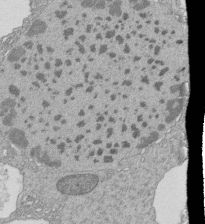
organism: Tetrahymena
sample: Cilia in tetrahymena